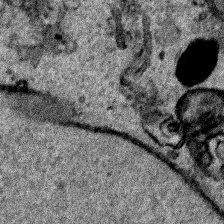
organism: Human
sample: Mitochondria in HCT116 cells